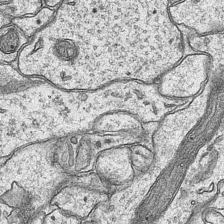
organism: Mouse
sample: CA1 Hippocampus